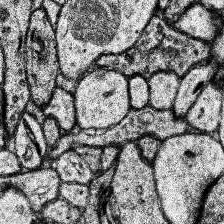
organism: Human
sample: Temporal Lobe